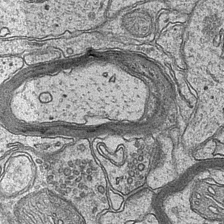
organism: Mouse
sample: CA1 Hippocampus